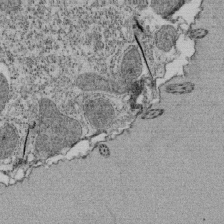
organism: Tetrahymena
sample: Cilia in tetrahymena